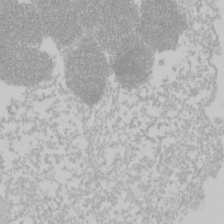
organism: Mouse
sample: Cancer cell death in ED-1 cells